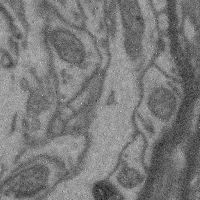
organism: Mouse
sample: Cerebral cortex